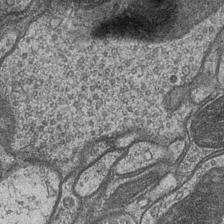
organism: Drosophila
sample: Optic medulla